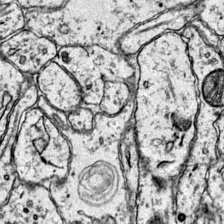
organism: Mouse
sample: Primary visual cortex